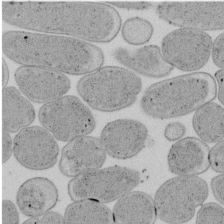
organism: E. coli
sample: Bacterial nucleoid